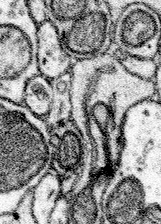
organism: Mouse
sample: Somatosensory cortex neuropil